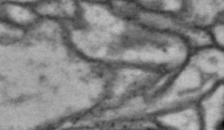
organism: Drosophila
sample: Brain